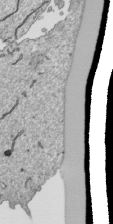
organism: Human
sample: Mitochondria in HCT116 cells